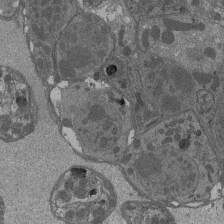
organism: Drosophila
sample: Antenna